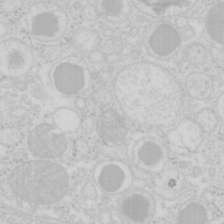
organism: Mouse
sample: Pancreas